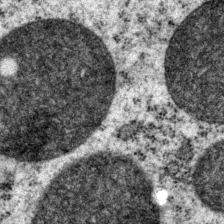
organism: P. pacificus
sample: Pharynx